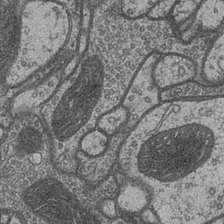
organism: Drosophila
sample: Optic medulla